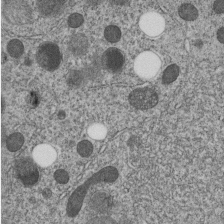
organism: C. elegans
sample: C. elegans embryo early stage